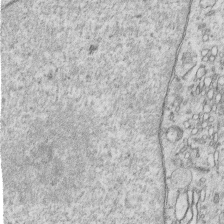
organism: Human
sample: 1205lu cells